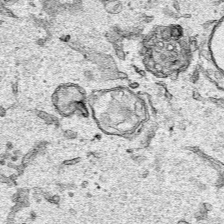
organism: Human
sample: Mitochondria in HCT116 cells